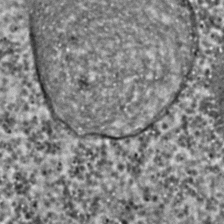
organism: C. elegans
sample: C. elegans embryo